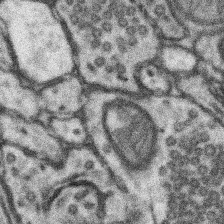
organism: Mouse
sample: Somatosensory cortex neuropil